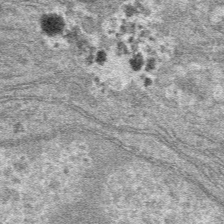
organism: Mouse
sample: Mouse hepatocytes